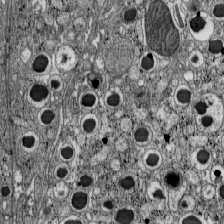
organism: C57BL Mouse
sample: Pancreatic islet